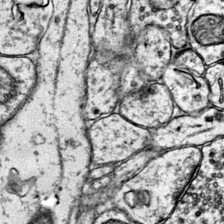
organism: Mouse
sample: Primary visual cortex